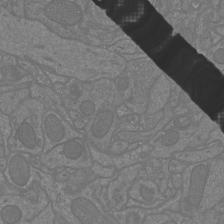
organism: Mouse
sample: Cortical neurons